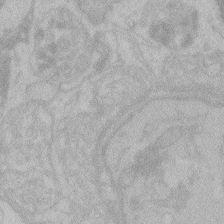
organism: Zebrafish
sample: Macrophage infected with Toxoplasma gondii